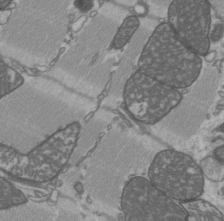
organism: C57BL Mouse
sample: Heart